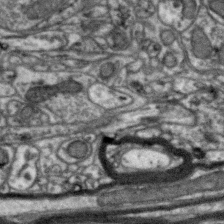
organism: Zebra finch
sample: Brain